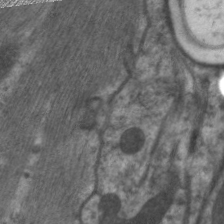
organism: C. elegans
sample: Pharynx